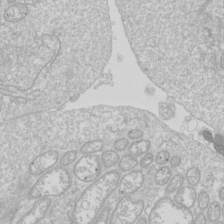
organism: Drosophila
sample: Cell division; meiosis; drosophila spermatocytes